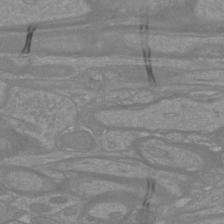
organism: Mouse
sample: Cortical neurons